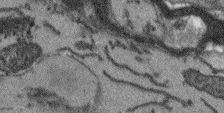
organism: Arabidopsis thaliana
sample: Root tip